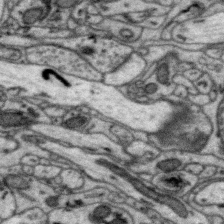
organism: Zebra finch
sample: Brain